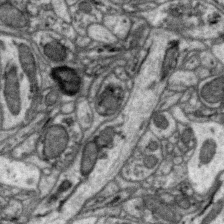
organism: Zebra finch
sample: Brain